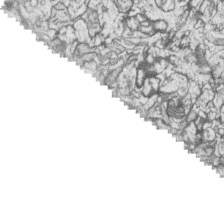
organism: Zebrafish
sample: synaptic ribbons in rod cells and cone cells